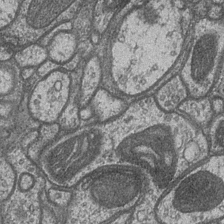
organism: Drosophila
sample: Optic medulla